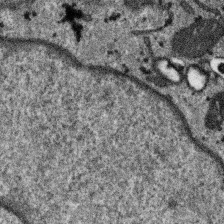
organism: Human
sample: Lung epithelial cells infected with SARS-CoV-2